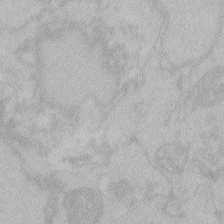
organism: Zebrafish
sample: Macrophage infected with Toxoplasma gondii